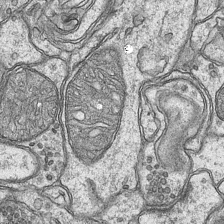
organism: Mouse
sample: CA1 Hippocampus